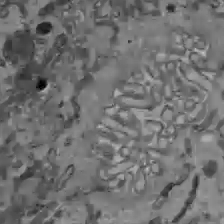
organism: C57BL Mouse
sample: Liver